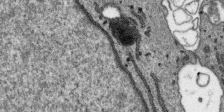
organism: Human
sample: Lung epithelial cells, uninfected (mock) control